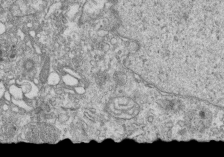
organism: Human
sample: HeLa cell HIV synapse